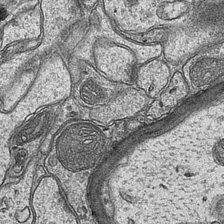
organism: Mouse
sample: CA1 Hippocampus